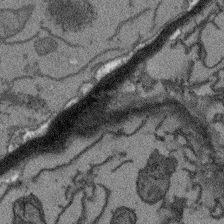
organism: Arabidopsis thaliana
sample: Root tip